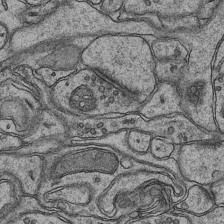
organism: Mouse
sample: CA1 Hippocampus